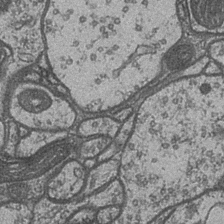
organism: Drosophila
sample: Optic medulla